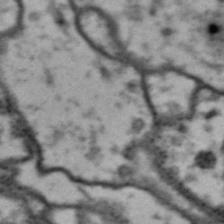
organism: Drosophila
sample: Brain